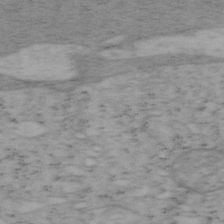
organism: Mouse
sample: OT-I killer T cells with ID8 ovarian cancer cells